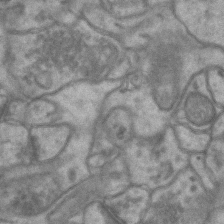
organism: Mouse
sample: CA1 Hippocampus